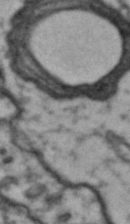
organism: Drosophila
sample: Brain